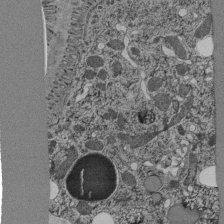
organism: C. elegans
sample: C. elegans pharynx